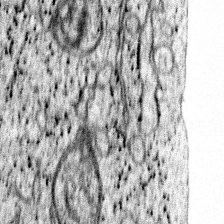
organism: Human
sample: HeLa cells